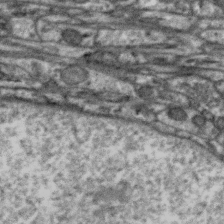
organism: Zebra finch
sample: Brain